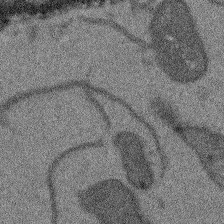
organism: Arabidopsis thaliana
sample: Root tip